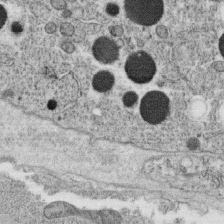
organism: C. elegans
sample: C. elegans oocyte; sperm cells